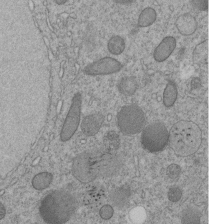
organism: C. elegans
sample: C. elegans embryo early stage